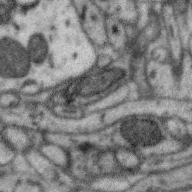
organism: Zebra finch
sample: Brain